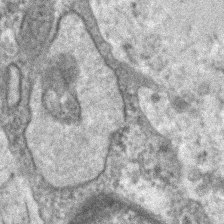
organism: Human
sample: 1205lu cells